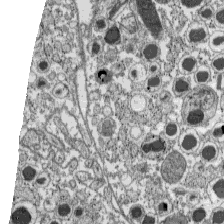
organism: C57BL Mouse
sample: Pancreatic islet